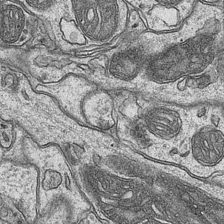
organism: Mouse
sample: CA1 Hippocampus